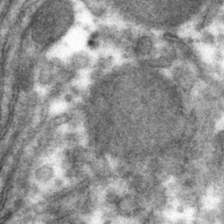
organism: Mouse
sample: Mouse hepatocytes